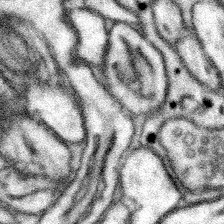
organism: Mouse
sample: Somatosensory cortex neuropil